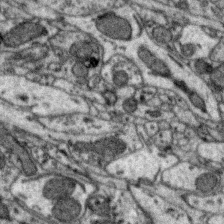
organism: Zebra finch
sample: Brain